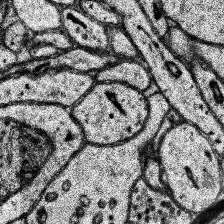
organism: Human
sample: Temporal Lobe